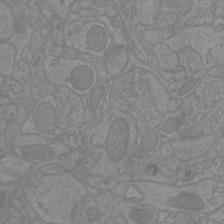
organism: Mouse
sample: Cortical neurons